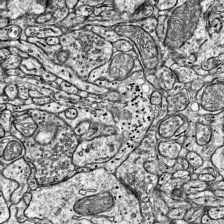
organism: Mouse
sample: Visual Cortex